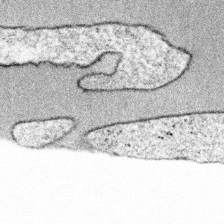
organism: Human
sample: HeLa cells